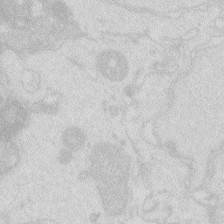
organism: Zebrafish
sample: Macrophage